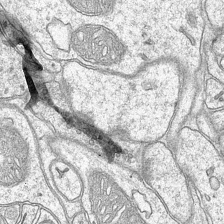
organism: Mouse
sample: CA1 Hippocampus